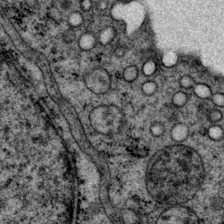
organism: P. pacificus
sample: Pharynx